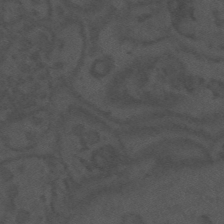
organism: Mouse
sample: Suprachiasmatic nucleus